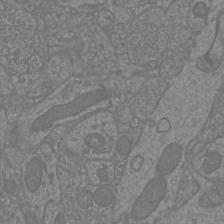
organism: Mouse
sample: Cortical neurons